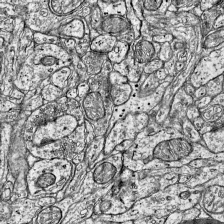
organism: Mouse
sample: Visual Cortex